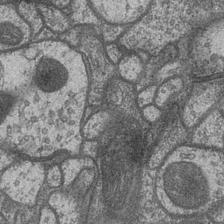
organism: Drosophila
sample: Optic medulla